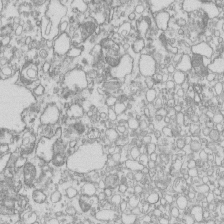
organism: Mouse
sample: Macrophages